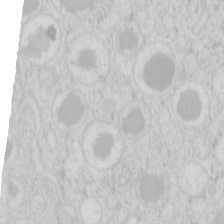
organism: Mouse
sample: Pancreas